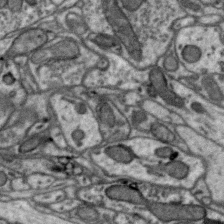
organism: Zebra finch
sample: Brain